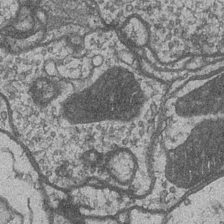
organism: Drosophila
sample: Optic medulla